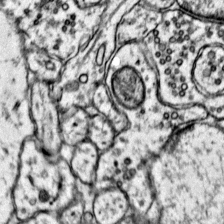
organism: Mouse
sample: Primary visual cortex